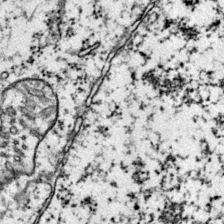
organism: Mouse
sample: Primary visual cortex